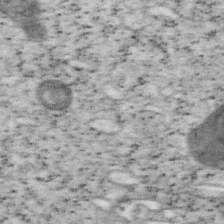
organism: Mouse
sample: OT-I killer T cells with ID8 ovarian cancer cells